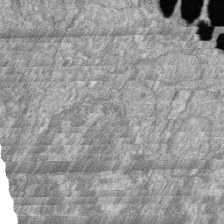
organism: Zebrafish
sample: Cilia; retinal pigment epithelium